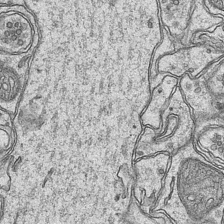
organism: Mouse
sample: CA1 Hippocampus